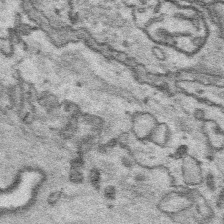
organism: Platynereis dumerilii